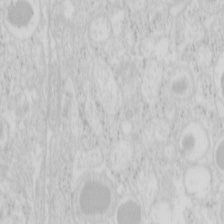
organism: Mouse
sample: Pancreas